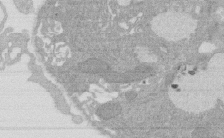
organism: Rat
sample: Salivary granule